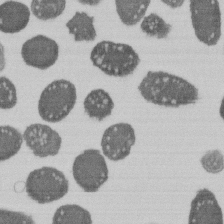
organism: E. coli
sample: Bacterial nucleoid